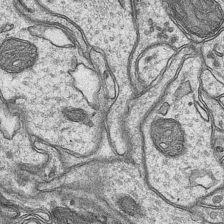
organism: Mouse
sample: CA1 Hippocampus